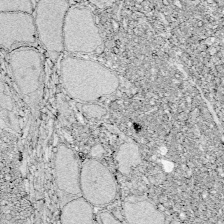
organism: Zebrafish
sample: Whole-Brain